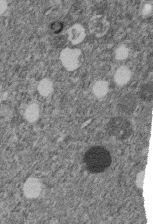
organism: C. elegans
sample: C. elegans embryo early stage